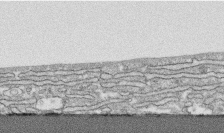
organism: Human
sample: CRL-1474